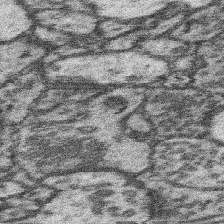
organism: Mouse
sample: Somatosensory cortex neuropil